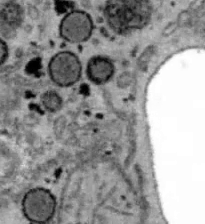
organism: Mouse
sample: Liver from an obese (ob/ob) mouse